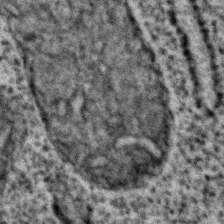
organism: C. elegans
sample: C. elegans embryo